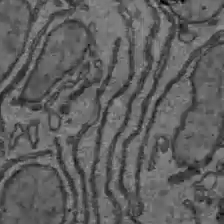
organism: C57BL Mouse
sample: Liver